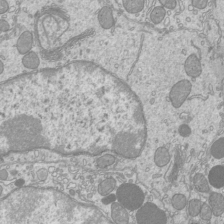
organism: Mouse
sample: Cilia; mouse epididymis